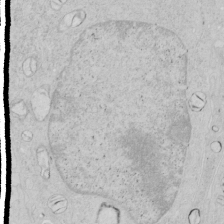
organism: Human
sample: Mitochondria in HCT116 cells